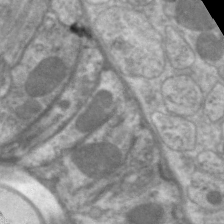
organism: C. elegans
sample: Pharynx